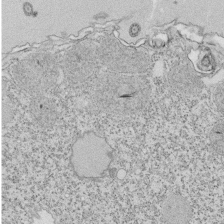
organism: Tetrahymena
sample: Cilia in tetrahymena